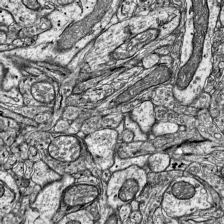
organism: Mouse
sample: Visual Cortex